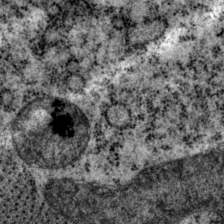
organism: P. pacificus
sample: Pharynx